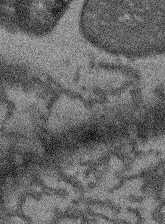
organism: Arabidopsis thaliana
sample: Root tip